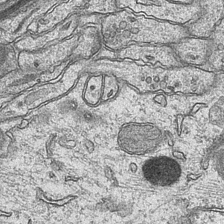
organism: Mouse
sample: CA1 Hippocampus